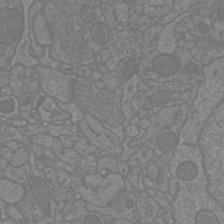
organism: Mouse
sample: Cortical neurons